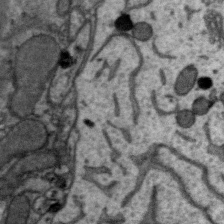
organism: Zebra finch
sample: Brain